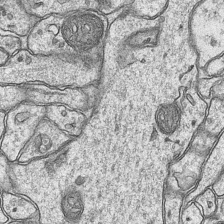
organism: Mouse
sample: CA1 Hippocampus